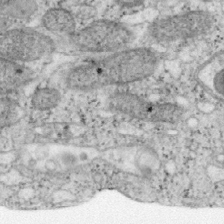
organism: Mouse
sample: OT-I killer T cells with ID8 ovarian cancer cells